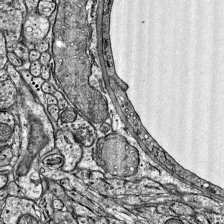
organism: Mouse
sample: Visual Cortex